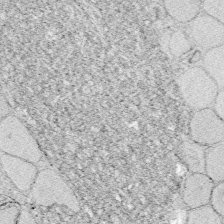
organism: Zebrafish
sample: Whole-Brain